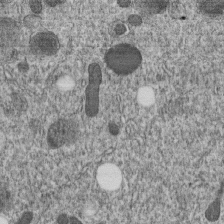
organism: C. elegans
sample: C. elegans embryo early stage